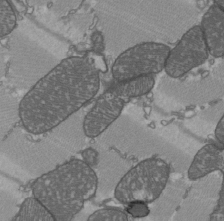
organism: C57BL Mouse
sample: Heart